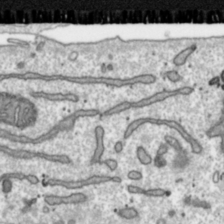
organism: Toxoplasma gondii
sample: Parasites in a vacuole inside a host cell